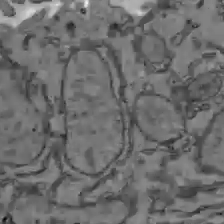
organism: C57BL Mouse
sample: Liver